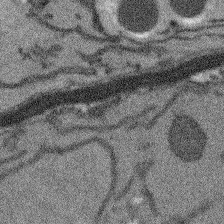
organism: Arabidopsis thaliana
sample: Root tip